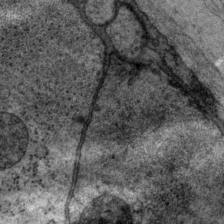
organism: P. pacificus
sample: Pharynx